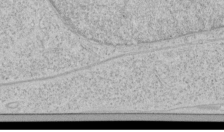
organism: Human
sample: Mitochondria in HCT116 cells